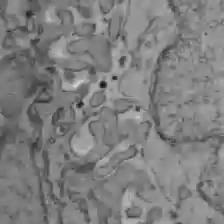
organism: C57BL Mouse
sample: Liver